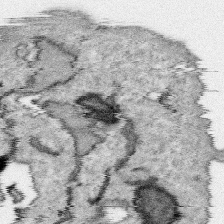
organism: Human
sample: HeLa cells